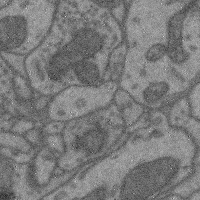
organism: Mouse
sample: Cerebral cortex